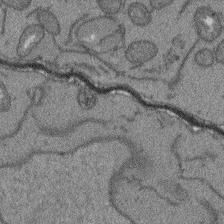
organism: Arabidopsis thaliana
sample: Root tip